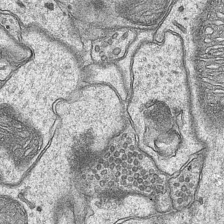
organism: Mouse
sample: CA1 Hippocampus